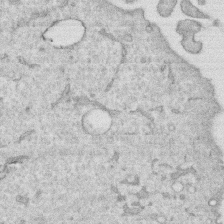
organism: Human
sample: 1205lu cells